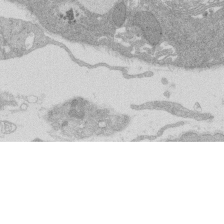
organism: Rat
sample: Salivary granule